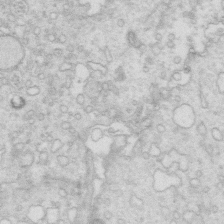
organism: Mouse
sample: Multiciliated cells